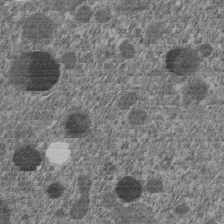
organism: C. elegans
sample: C. elegans embryo early stage